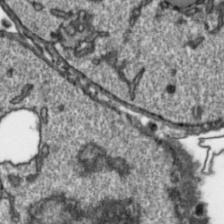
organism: Toxoplasma gondii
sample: Parasites in a vacuole inside a host cell